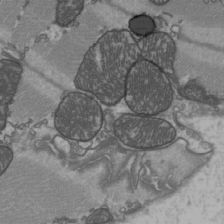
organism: C57BL Mouse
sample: Heart